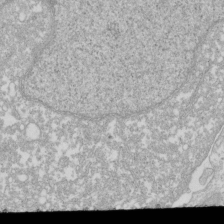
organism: Xenopus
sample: Cilia; centrioles in frog embryo cells